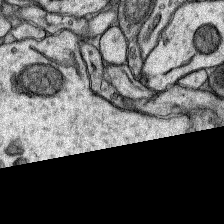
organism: Rat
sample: Hippocampus